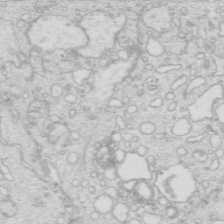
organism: Mouse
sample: Multiciliated cells